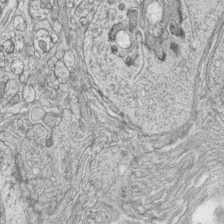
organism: Zebrafish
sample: synaptic ribbons in rod cells and cone cells